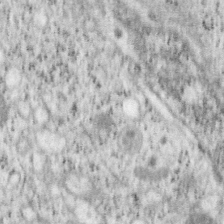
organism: Mouse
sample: OT-I killer T cells with ID8 ovarian cancer cells